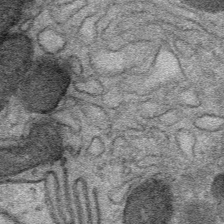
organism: Mouse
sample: Mouse Salivary gland